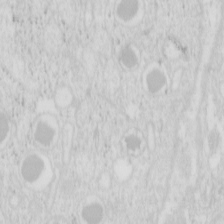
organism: Mouse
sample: Pancreas